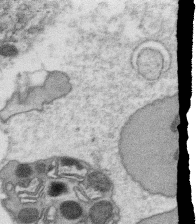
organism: C. elegans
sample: C. elegans oocyte; sperm cells